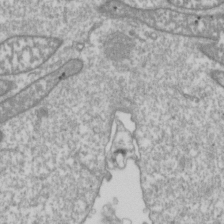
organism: Drosophila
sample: Cell division; meiosis; drosophila spermatocytes